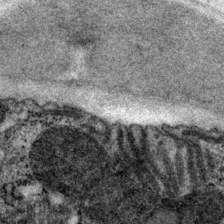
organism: P. pacificus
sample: Pharynx